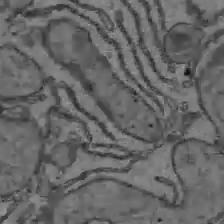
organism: C57BL Mouse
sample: Liver